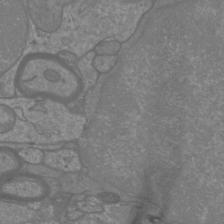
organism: Mouse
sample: Cortical neurons